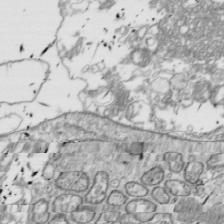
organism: Drosophila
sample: Cell division; meiosis; drosophila spermatocytes